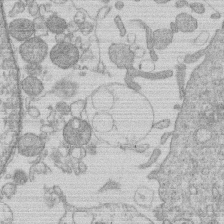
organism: Human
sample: Macrophage cells